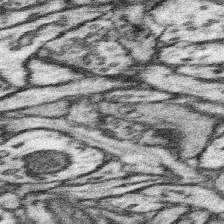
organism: Mouse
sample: Somatosensory cortex neuropil